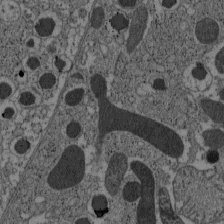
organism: C57BL Mouse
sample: Pancreatic islet